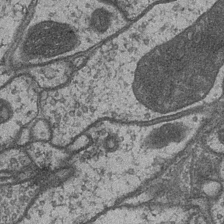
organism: Drosophila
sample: Optic medulla